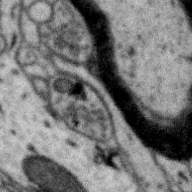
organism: Zebra finch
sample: Brain